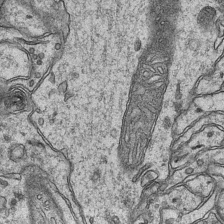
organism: Mouse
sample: CA1 Hippocampus